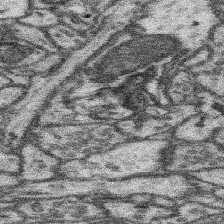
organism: Mouse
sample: Somatosensory cortex neuropil